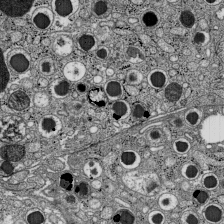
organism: C57BL Mouse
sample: Pancreatic islet